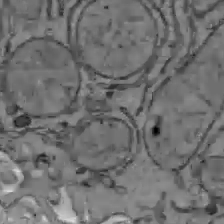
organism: C57BL Mouse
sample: Liver